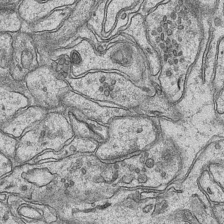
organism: Mouse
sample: CA1 Hippocampus